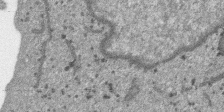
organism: Human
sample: Lung epithelial cells infected with SARS-CoV-2